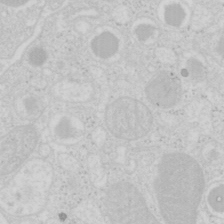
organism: Mouse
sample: Pancreas